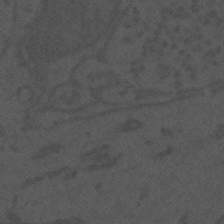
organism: Mouse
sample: Suprachiasmatic nucleus